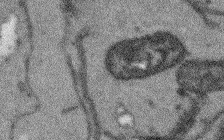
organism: Arabidopsis thaliana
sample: Root tip